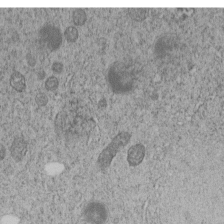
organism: C. elegans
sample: C. elegans embryo early stage